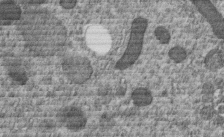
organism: C. elegans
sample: C. elegans embryo early stage